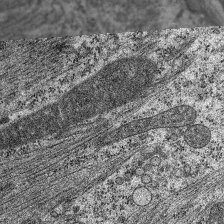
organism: C. elegans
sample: Pharynx